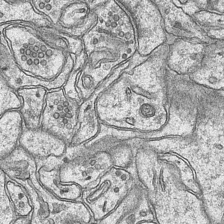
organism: Mouse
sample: CA1 Hippocampus